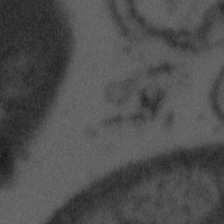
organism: Tuwongella immobilis